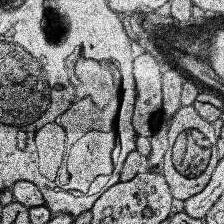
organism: Human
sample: Temporal Lobe